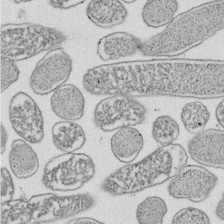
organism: E. coli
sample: Bacterial nucleoid